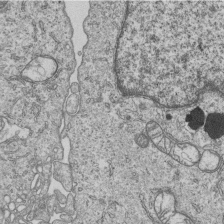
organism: Human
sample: MDA-MB-231 cells